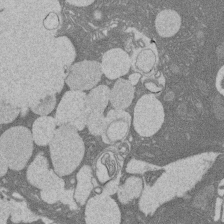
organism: Rat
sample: Salivary granule